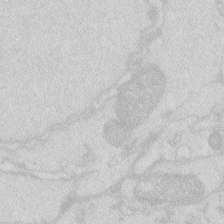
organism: Zebrafish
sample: Macrophage